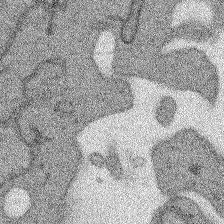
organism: Human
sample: HeLa cells